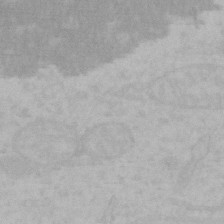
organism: Mouse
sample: Choroid plexus